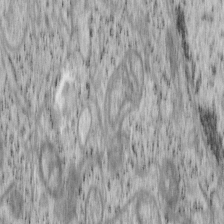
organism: Human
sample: HeLa cells